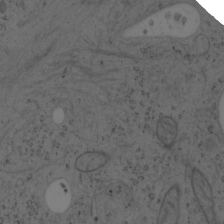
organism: Mouse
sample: OT-I killer T cells with ID8 ovarian cancer cells